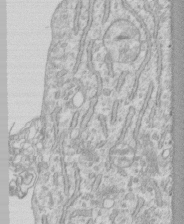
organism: Human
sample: CRL-1474